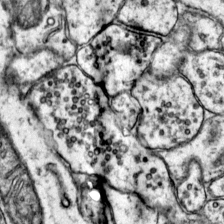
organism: Mouse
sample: Primary visual cortex